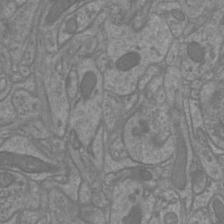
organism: Mouse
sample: Cortical neurons